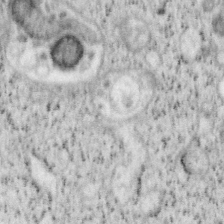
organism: Mouse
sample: OT-I killer T cells with ID8 ovarian cancer cells